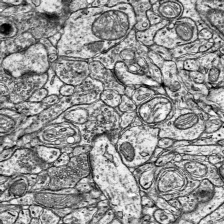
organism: Mouse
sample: Visual Cortex